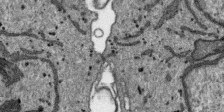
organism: Human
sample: Lung epithelial cells, uninfected (mock) control